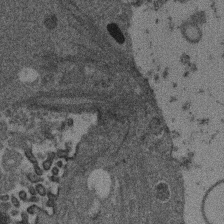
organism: Mouse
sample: Dividing mouse embryo 1 cell stage